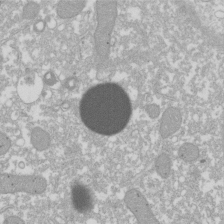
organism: Xenopus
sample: Cilia; centrioles in frog embryo cells